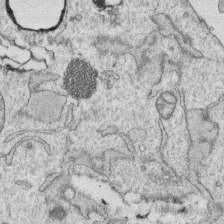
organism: Human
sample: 1205lu cells